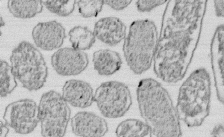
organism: E. coli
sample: Bacterial nucleoid